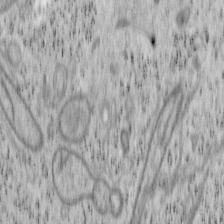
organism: Human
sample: HeLa cells